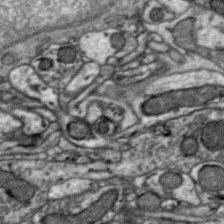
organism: Zebra finch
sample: Brain